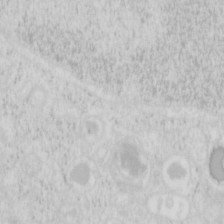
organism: Mouse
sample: Pancreas